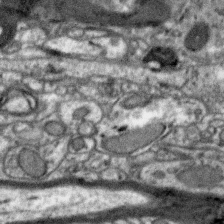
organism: Zebra finch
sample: Brain